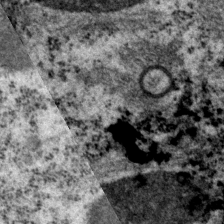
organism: P. pacificus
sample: Pharynx